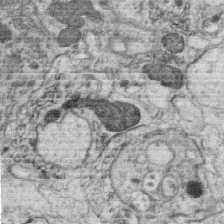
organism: C. elegans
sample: C. elegans oocyte; sperm cells